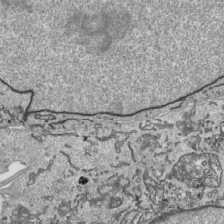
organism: Human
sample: Mitochondria in HCT116 cells